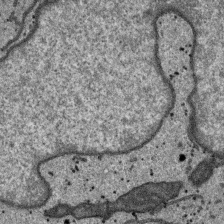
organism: Human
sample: Lung epithelial cells, uninfected (mock) control